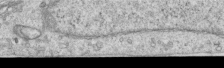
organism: Human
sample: Centriole in RPE cells